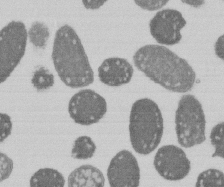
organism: E. coli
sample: Bacterial nucleoid